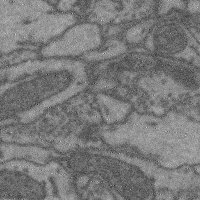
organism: Mouse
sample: Cerebral cortex